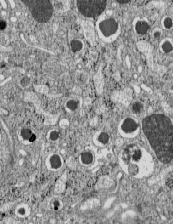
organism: C57BL Mouse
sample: Pancreatic islet